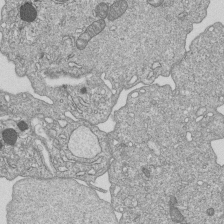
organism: Human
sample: MDA-MB-231 cells